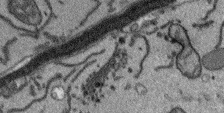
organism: Arabidopsis thaliana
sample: Root tip